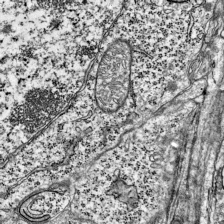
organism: Mouse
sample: Visual Cortex